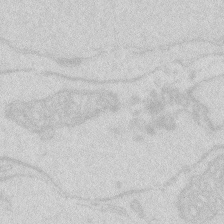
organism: Zebrafish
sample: Macrophage